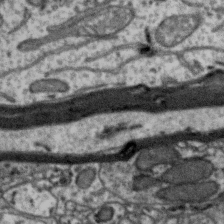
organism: Zebra finch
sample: Brain